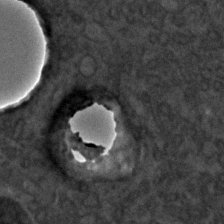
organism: C. elegans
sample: C. elegans embryo